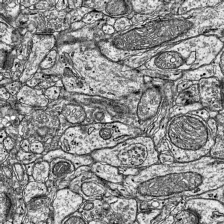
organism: Mouse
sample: Visual Cortex